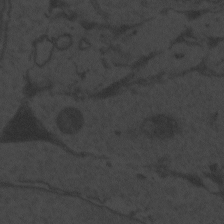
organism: Zebrafish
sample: Macrophage infected with Toxoplasma gondii